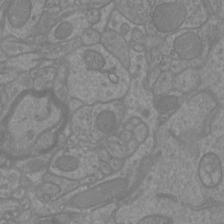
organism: Mouse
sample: Cortical neurons